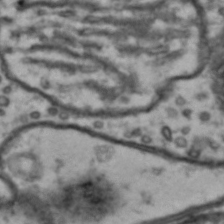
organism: Drosophila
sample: Brain